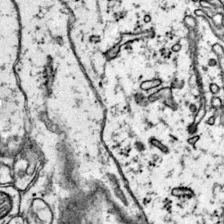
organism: Mouse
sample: Primary visual cortex